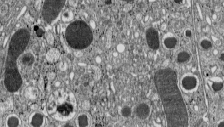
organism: C57BL Mouse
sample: Pancreatic islet